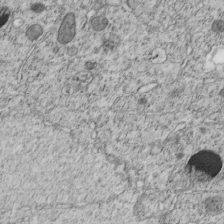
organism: C. elegans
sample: C. elegans embryo early stage